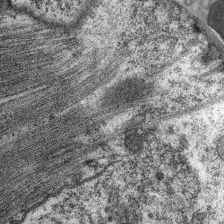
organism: C. elegans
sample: Pharynx